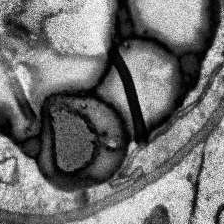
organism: Human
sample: Temporal Lobe